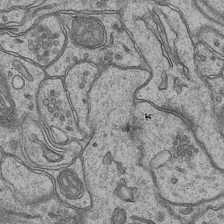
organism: Mouse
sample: CA1 Hippocampus